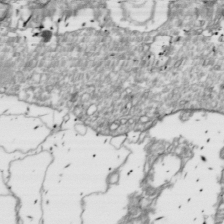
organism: Drosophila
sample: Cell division; meiosis; drosophila spermatocytes